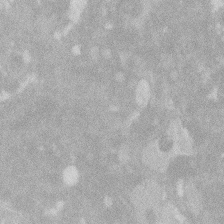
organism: Zebrafish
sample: Macrophage